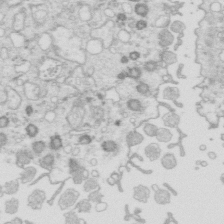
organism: Mouse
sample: Multiciliated cells